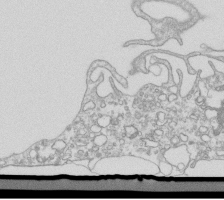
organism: Mouse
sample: Macrophages